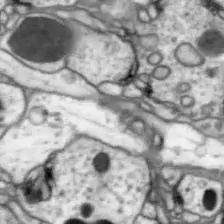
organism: Drosophila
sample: Optic lobe